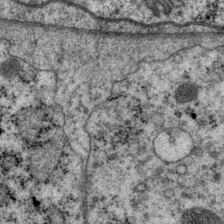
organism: P. pacificus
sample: Pharynx